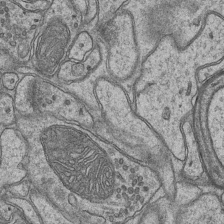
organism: Mouse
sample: CA1 Hippocampus